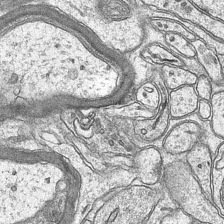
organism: Mouse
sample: CA1 Hippocampus